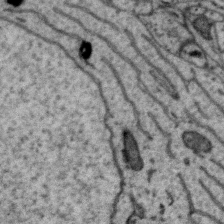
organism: Zebra finch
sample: Brain